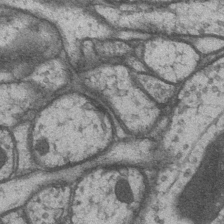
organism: Drosophila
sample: Optic medulla